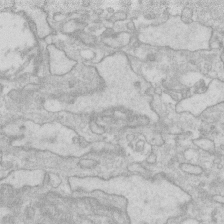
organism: Human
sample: Fibroblast cells